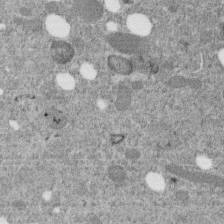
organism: C. elegans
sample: C. elegans embryo early stage